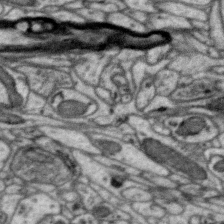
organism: Zebra finch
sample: Brain